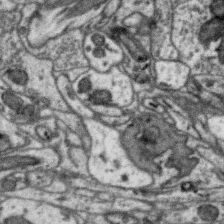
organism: Zebra finch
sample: Brain